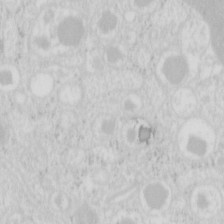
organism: Mouse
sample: Pancreas